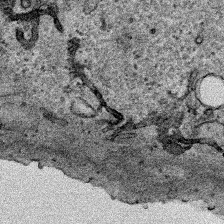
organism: Human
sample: Mitochondria in HCT116 cells